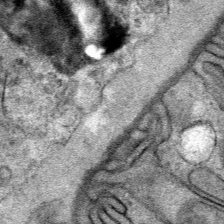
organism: Mouse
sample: Mouse Salivary gland